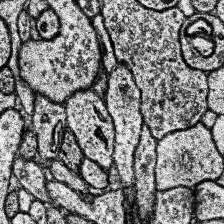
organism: Human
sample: Temporal Lobe